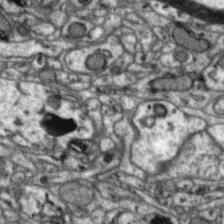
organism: Zebra finch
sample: Brain